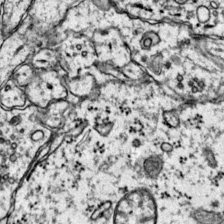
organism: Mouse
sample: Primary visual cortex